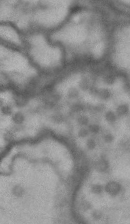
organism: Drosophila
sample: Brain